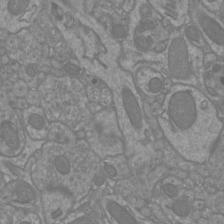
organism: Mouse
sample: Cortical neurons